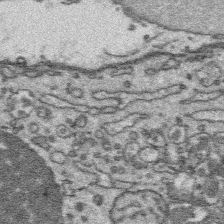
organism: Platynereis dumerilii